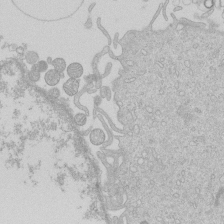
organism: Human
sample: Macrophage cells